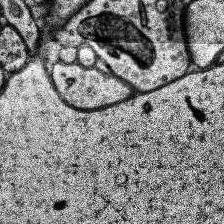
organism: Human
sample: Temporal Lobe